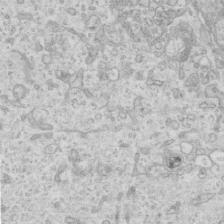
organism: Mouse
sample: Centriole in ependymal cells